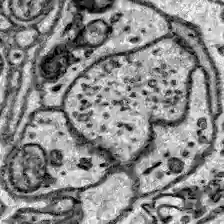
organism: Zebrafish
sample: Brain